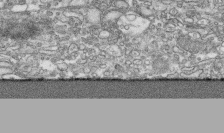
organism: Human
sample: CRL-1474